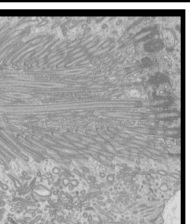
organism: Mouse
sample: Cilia; mouse epididymis